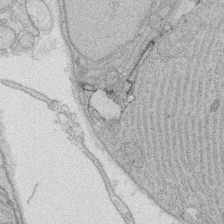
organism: Rat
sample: Salivary granule